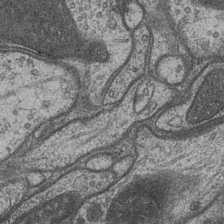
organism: Drosophila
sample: Optic medulla